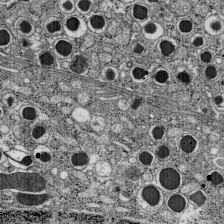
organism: C57BL Mouse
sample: Pancreatic islet